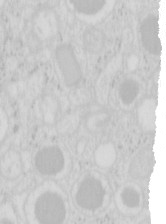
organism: Mouse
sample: Pancreas